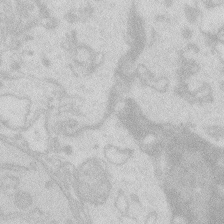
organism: Zebrafish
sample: Macrophage